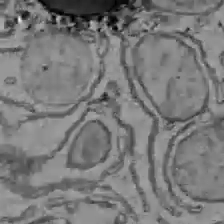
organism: C57BL Mouse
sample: Liver